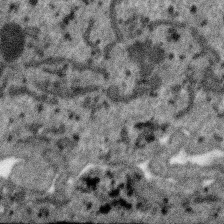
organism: Human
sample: Lung epithelial cells infected with SARS-CoV-2